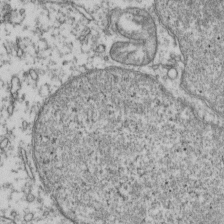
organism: Human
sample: Activated Jurkat CD4+ T cells